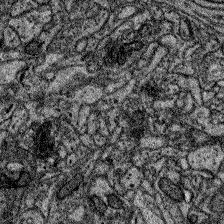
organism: Zebrafish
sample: Larval olfactory bulb